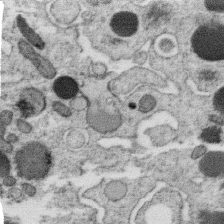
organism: C. elegans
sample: C. elegans oocyte; sperm cells